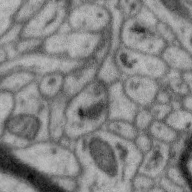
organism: Zebra finch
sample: Brain